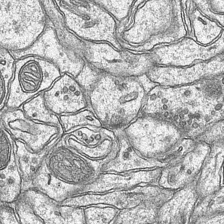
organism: Mouse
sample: CA1 Hippocampus